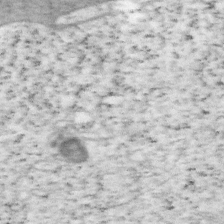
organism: Mouse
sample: OT-I killer T cells with ID8 ovarian cancer cells